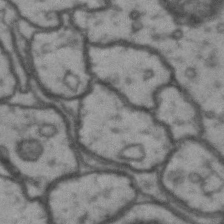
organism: Drosophila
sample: Brain